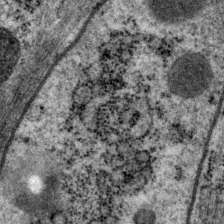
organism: P. pacificus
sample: Pharynx